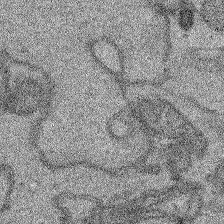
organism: Human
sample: HeLa cells